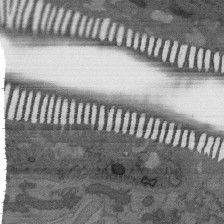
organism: C. elegans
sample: AFD neurons C. elegans